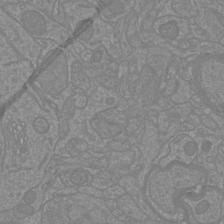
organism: Mouse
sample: Cortical neurons